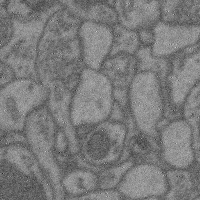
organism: Mouse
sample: Cerebral cortex